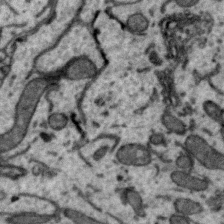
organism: Zebra finch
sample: Brain